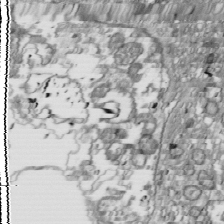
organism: Drosophila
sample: Cell division; meiosis; drosophila spermatocytes